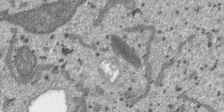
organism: Human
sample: Lung epithelial cells infected with SARS-CoV-2